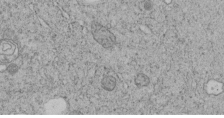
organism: C. elegans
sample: C. elegans embryo early stage